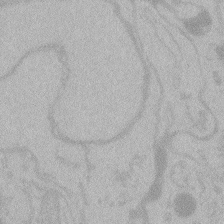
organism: Zebrafish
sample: Macrophage infected with Toxoplasma gondii